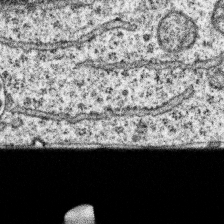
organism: Human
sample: HeLa cells